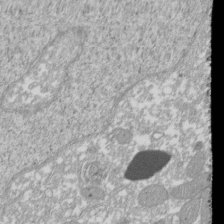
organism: Xenopus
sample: Cilia; centrioles in frog embryo cells